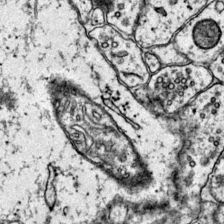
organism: Mouse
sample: Primary visual cortex